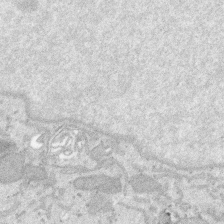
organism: Human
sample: Lung epithelial cells infected with SARS-CoV-2